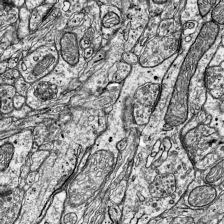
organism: Mouse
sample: Visual Cortex